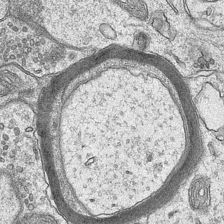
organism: Mouse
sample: CA1 Hippocampus